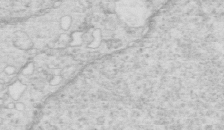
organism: Mouse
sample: Multiciliated cells